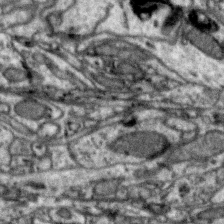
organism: Zebra finch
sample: Brain